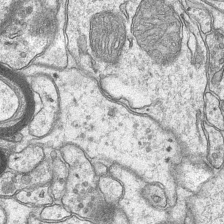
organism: Mouse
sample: CA1 Hippocampus